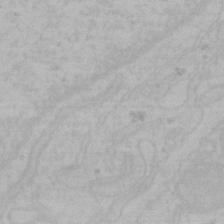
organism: Mouse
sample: Choroid plexus